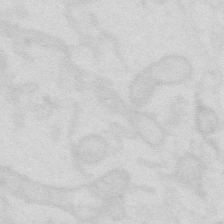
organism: Human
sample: HeLa cells